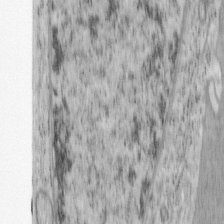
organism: Human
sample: HeLa cells